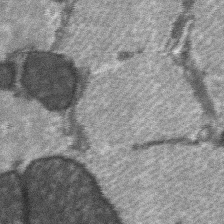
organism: C57BL Mouse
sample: Soleus